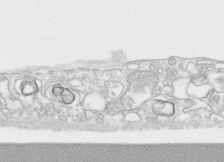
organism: Human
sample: CRL-1474